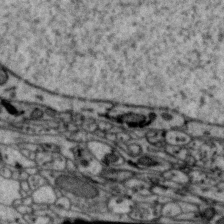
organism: Zebra finch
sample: Brain